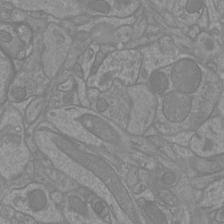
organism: Mouse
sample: Cortical neurons